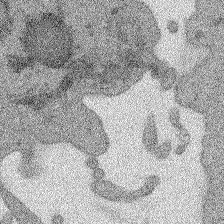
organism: Human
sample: HeLa cells